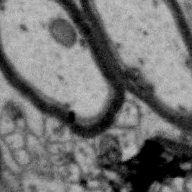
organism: Zebra finch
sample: Brain